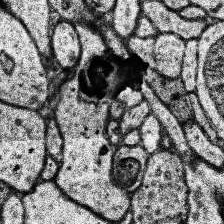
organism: Human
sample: Temporal Lobe